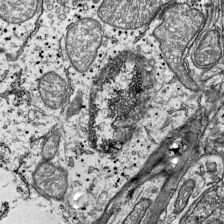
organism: Mouse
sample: Visual Cortex